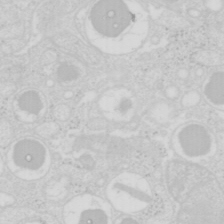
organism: Mouse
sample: Pancreas